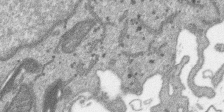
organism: Human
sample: Lung epithelial cells infected with SARS-CoV-2